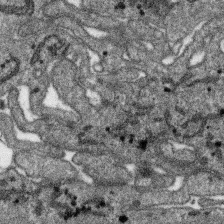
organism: Human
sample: Lung epithelial cells infected with SARS-CoV-2